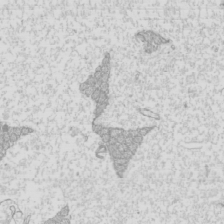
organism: Mouse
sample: Cilia; mouse epididymis